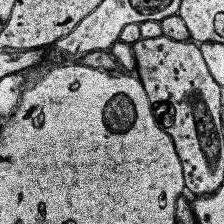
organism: Human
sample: Temporal Lobe